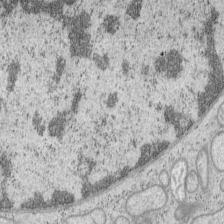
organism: Mouse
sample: OT-I killer T cells with ID8 ovarian cancer cells